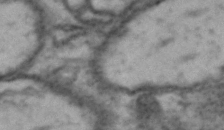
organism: Drosophila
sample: Brain